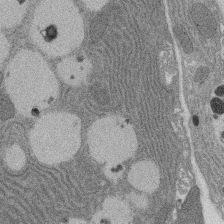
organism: Rat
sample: Salivary granule